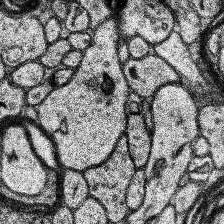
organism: Human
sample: Temporal Lobe